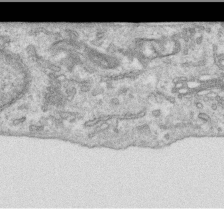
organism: Human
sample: Centriole in RPE cells